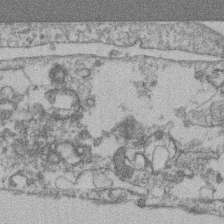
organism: Mouse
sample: T cell stromal cell synapse